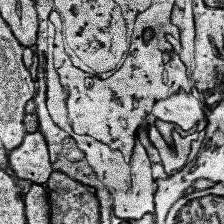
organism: Human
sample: Temporal Lobe